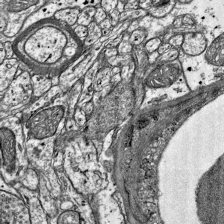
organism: Mouse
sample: Visual Cortex